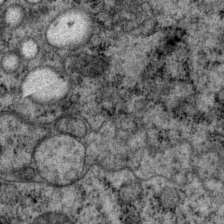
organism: P. pacificus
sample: Pharynx